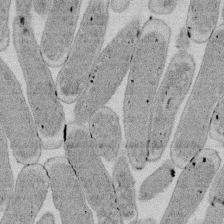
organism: E. coli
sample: Bacterial nucleoid